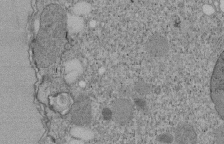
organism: Tetrahymena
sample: Cilia in tetrahymena